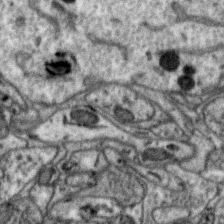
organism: Zebra finch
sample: Brain